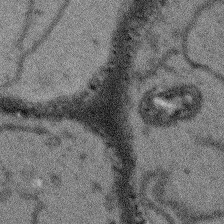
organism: Arabidopsis thaliana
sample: Root tip